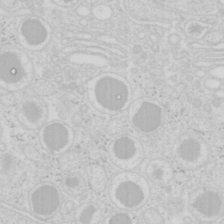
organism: Mouse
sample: Pancreas